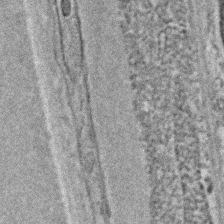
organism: C. elegans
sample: C. elegans embryo